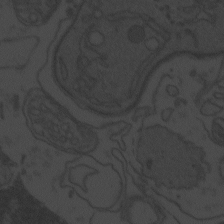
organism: Zebrafish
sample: Macrophage infected with Toxoplasma gondii